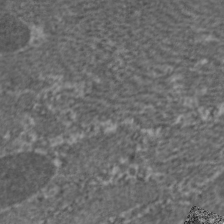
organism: C. elegans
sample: Pharynx